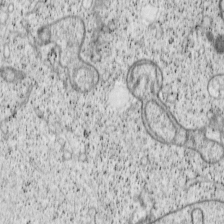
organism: African green monkey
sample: COS-7 cells